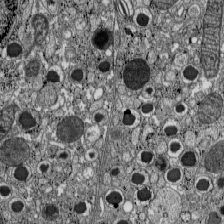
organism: C57BL Mouse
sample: Pancreatic islet